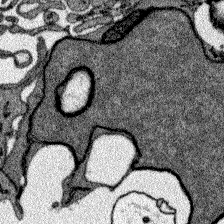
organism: Zebrafish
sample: Larval olfactory bulb